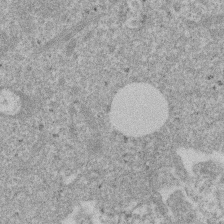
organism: Mouse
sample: Dividing mouse embryo 1 cell stage